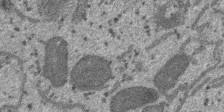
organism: Human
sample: Lung epithelial cells infected with SARS-CoV-2